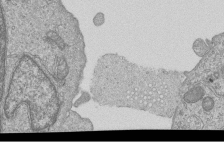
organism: Human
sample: MDA-MB-231 cells